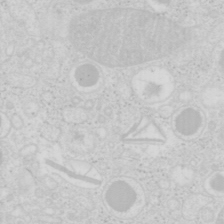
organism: Mouse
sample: Pancreas